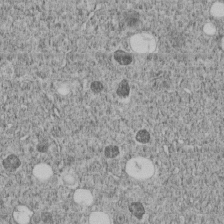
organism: C. elegans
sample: C. elegans embryo early stage